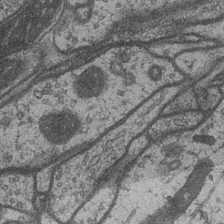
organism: Drosophila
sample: Optic medulla